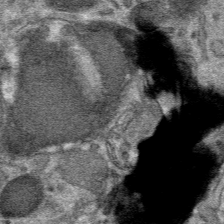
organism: Mouse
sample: Mouse hepatocytes